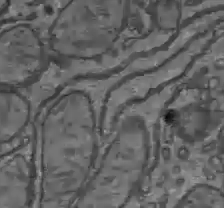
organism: C57BL Mouse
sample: Liver